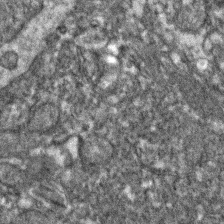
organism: Zebrafish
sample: Zebrafish embryo